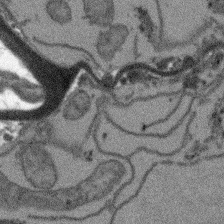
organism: Arabidopsis thaliana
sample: Root tip